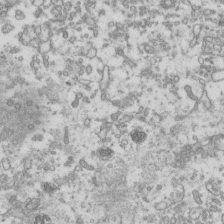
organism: Human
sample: Activated Jurkat CD4+ T cells